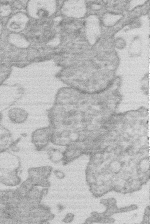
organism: Human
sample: Macrophage cells